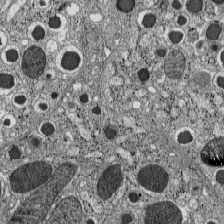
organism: C57BL Mouse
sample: Pancreatic islet